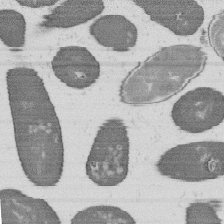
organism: B. subtilis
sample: Bacterial spore